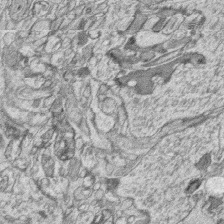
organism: Zebrafish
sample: synaptic ribbons in rod cells and cone cells